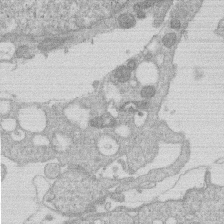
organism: Human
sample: Macrophage cells